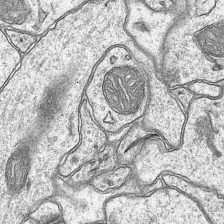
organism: Mouse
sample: CA1 Hippocampus